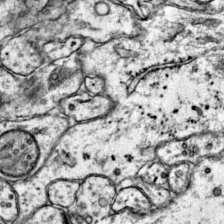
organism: Mouse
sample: Primary visual cortex